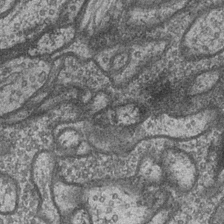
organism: Drosophila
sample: Optic medulla